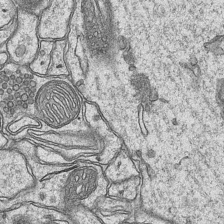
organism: Mouse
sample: CA1 Hippocampus